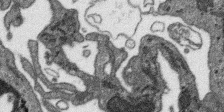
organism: Human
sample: Lung epithelial cells infected with SARS-CoV-2